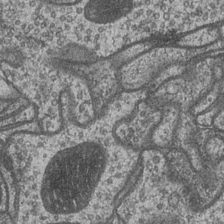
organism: Drosophila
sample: Optic medulla